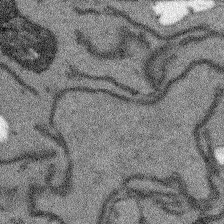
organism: Arabidopsis thaliana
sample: Root tip